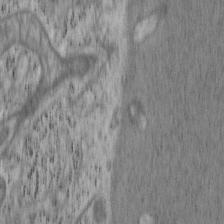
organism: Human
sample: HeLa cells